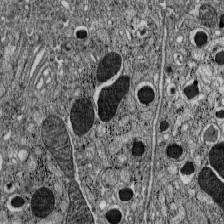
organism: C57BL Mouse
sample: Pancreatic islet